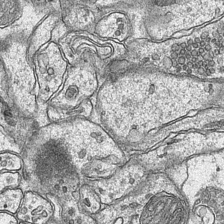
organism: Mouse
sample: CA1 Hippocampus